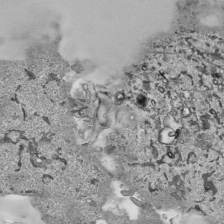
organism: Human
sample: Mitochondria in HCT116 cells